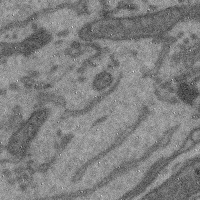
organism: Mouse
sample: Cerebral cortex